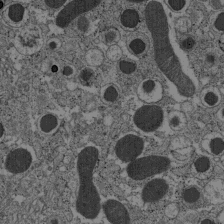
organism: C57BL Mouse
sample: Pancreatic islet